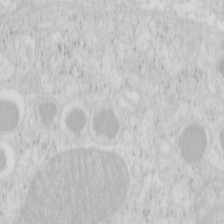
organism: Mouse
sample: Pancreas